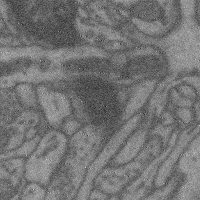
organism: Mouse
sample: Cerebral cortex